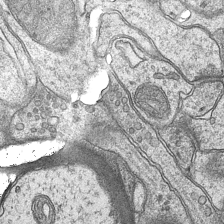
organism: Mouse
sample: CA1 Hippocampus